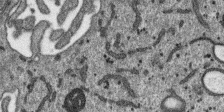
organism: Human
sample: Lung epithelial cells infected with SARS-CoV-2